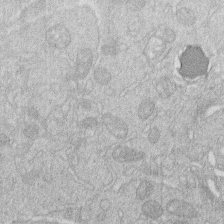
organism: Human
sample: Macrophage cells